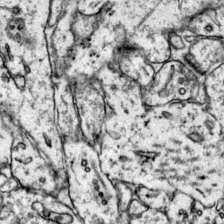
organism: Mouse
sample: Primary visual cortex